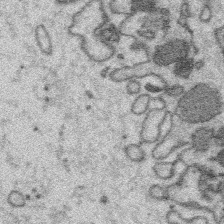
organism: Platynereis dumerilii